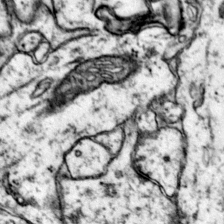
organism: Mouse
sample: Primary visual cortex